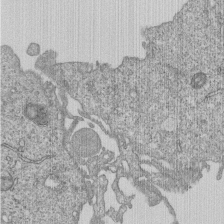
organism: Human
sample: MDA-MB-231 cells